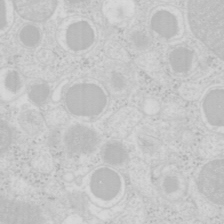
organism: Mouse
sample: Pancreas